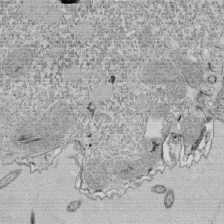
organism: Tetrahymena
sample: Cilia in tetrahymena